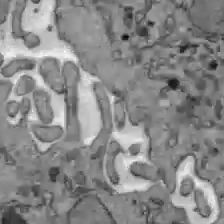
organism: C57BL Mouse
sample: Liver